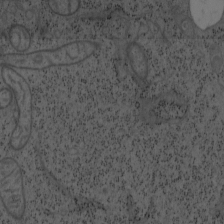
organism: Mouse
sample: OT-I killer T cells with ID8 ovarian cancer cells